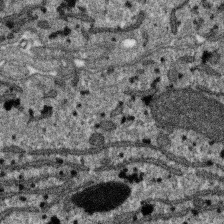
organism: Human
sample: Lung epithelial cells infected with SARS-CoV-2